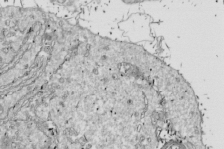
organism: Drosophila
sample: Cell division; meiosis; drosophila spermatocytes